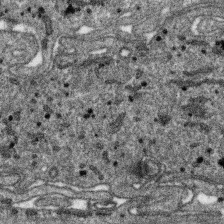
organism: Human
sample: Lung epithelial cells infected with SARS-CoV-2